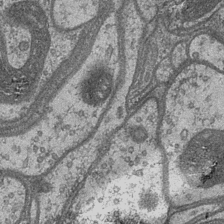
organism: Drosophila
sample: Optic medulla